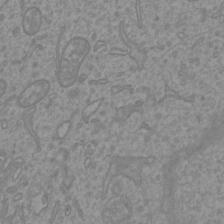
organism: Mouse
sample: Cortical neurons